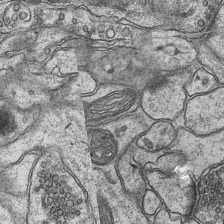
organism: Mouse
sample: CA1 Hippocampus